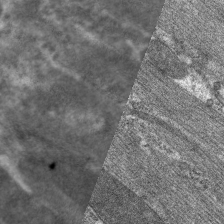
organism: C. elegans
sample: Pharynx